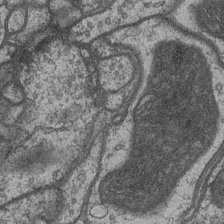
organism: Drosophila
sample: Optic medulla